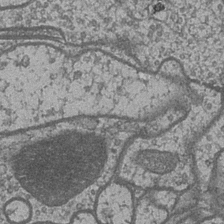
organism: Drosophila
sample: Optic medulla